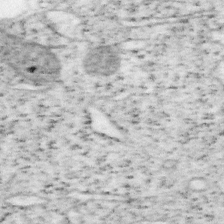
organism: Mouse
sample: OT-I killer T cells with ID8 ovarian cancer cells